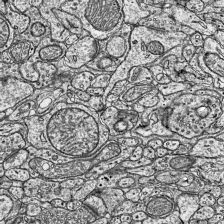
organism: Mouse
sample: Visual Cortex